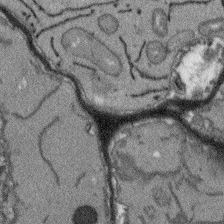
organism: Arabidopsis thaliana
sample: Root tip